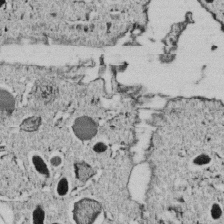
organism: C. elegans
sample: C. elegans embryo early stage